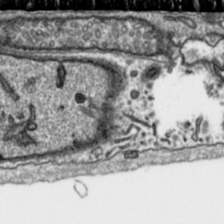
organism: Toxoplasma gondii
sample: Parasites in a vacuole inside a host cell